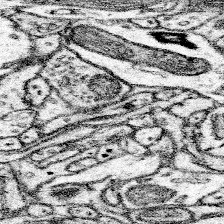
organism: Mouse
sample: Somatosensory cortex neuropil